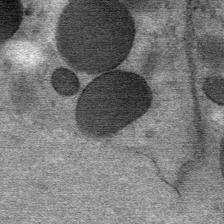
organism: Mouse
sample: Mouse Salivary gland